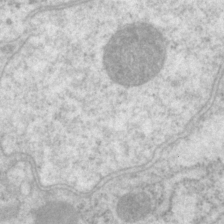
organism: P. pacificus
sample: Pharynx